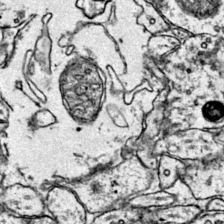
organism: Mouse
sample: Primary visual cortex